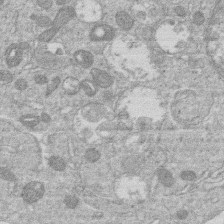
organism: Human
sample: Macrophage cells